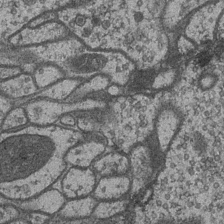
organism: Drosophila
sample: Optic medulla